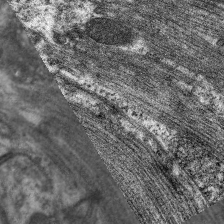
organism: C. elegans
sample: Pharynx